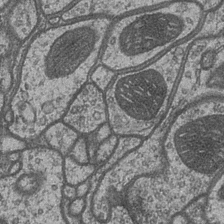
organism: Drosophila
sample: Optic medulla